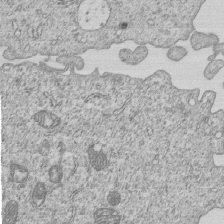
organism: Human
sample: MDA-MB-231 cells